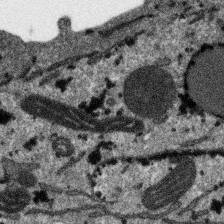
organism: Human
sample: Lung epithelial cells infected with SARS-CoV-2